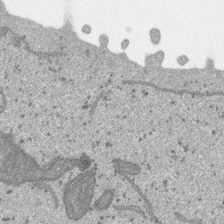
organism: Human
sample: Lung epithelial cells infected with SARS-CoV-2